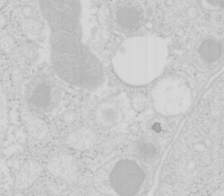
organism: Mouse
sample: Pancreas